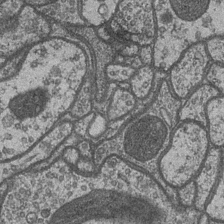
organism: Drosophila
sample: Optic medulla